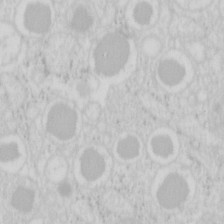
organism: Mouse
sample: Pancreas